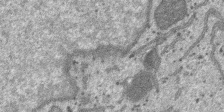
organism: Human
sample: Lung epithelial cells infected with SARS-CoV-2